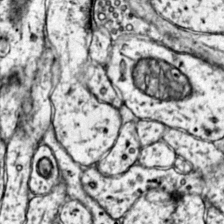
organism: Mouse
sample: Primary visual cortex